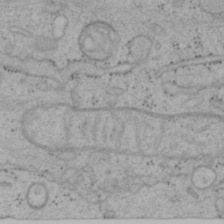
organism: Human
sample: HeLa cells